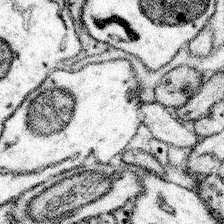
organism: Mouse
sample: Somatosensory cortex neuropil